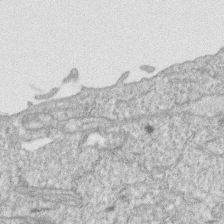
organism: Human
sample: HeLa cell HIV synapse